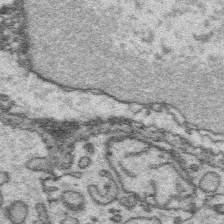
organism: Platynereis dumerilii